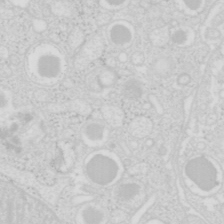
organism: Mouse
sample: Pancreas